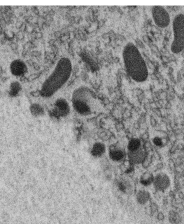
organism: C. elegans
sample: C. elegans oocyte; sperm cells